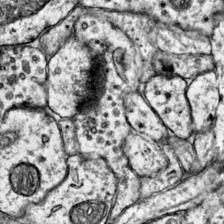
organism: Mouse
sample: Primary visual cortex